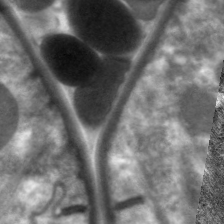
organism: C. elegans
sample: Pharynx